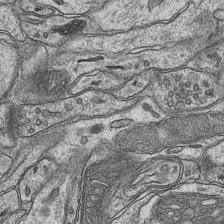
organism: Mouse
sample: CA1 Hippocampus